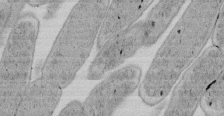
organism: E. coli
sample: Bacterial nucleoid